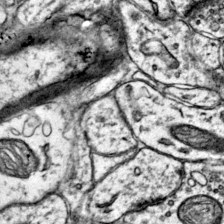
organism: Mouse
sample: Primary visual cortex